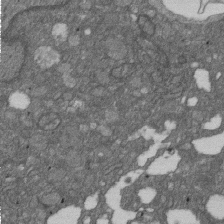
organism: Drosophila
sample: Nephrocyte